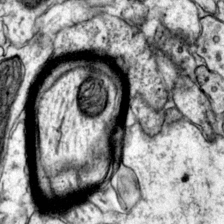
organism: Mouse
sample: Primary visual cortex